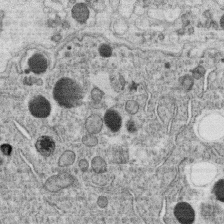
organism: C. elegans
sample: C. elegans oocyte; sperm cells